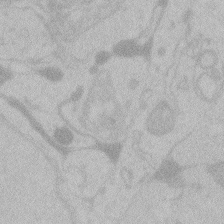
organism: Zebrafish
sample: Macrophage infected with Toxoplasma gondii